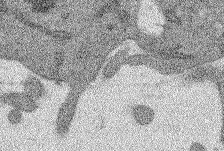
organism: Human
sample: HeLa cells